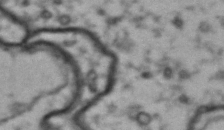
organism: Drosophila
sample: Brain